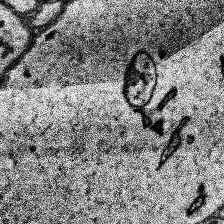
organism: Human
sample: Temporal Lobe